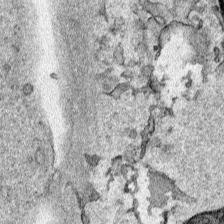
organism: Human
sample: Mitochondria in HCT116 cells